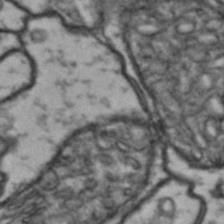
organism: Drosophila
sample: Brain